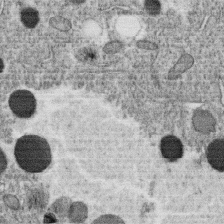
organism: C. elegans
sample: C. elegans oocyte; sperm cells